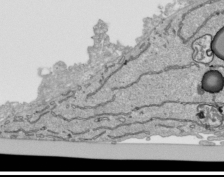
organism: Human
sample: Mitochondria in HCT116 cells